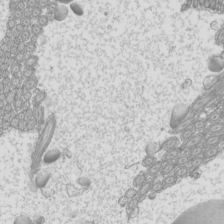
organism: Mouse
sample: Cilia; mouse epididymis